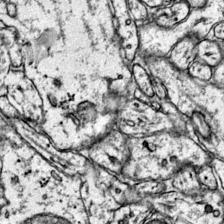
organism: Mouse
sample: Primary visual cortex